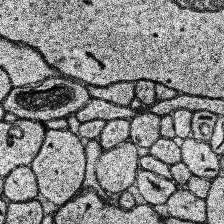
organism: Human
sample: Temporal Lobe